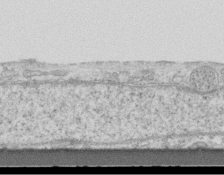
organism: Mouse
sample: Centriole in ependymal cells